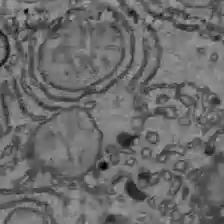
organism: C57BL Mouse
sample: Liver